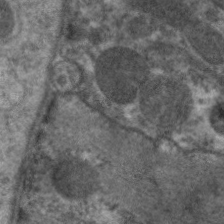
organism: C. elegans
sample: Pharynx